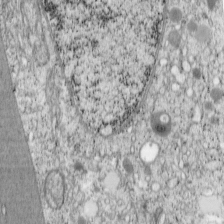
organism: African green monkey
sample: COS-7 cells